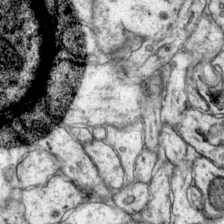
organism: Mouse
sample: Primary visual cortex